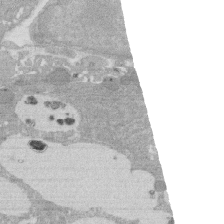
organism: Rat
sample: Salivary granule